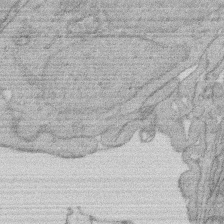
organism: Rat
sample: Salivary granule